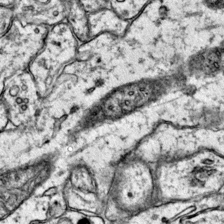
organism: Mouse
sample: Primary visual cortex